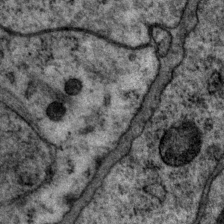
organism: P. pacificus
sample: Pharynx